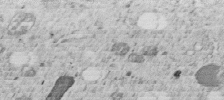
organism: C. elegans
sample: C. elegans embryo early stage